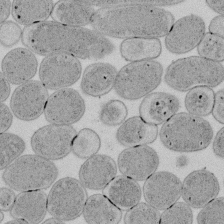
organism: E. coli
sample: Bacterial nucleoid